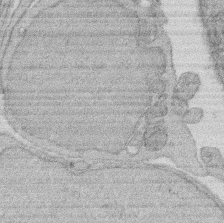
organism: Rat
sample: Salivary granule